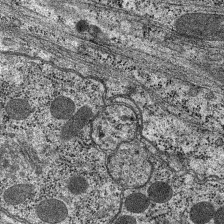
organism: C. elegans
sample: Pharynx